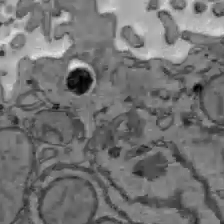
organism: C57BL Mouse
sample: Liver